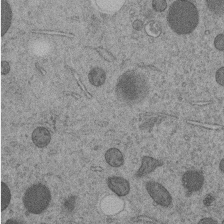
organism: C. elegans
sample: C. elegans embryo early stage